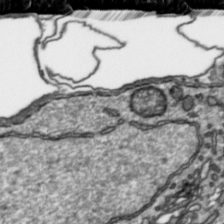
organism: Toxoplasma gondii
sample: Parasites in a vacuole inside a host cell